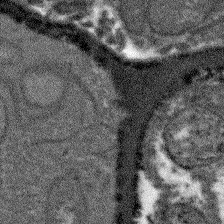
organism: Arabidopsis thaliana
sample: Root tip